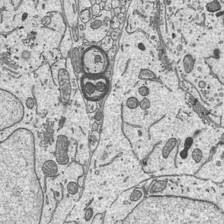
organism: Mouse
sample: Suprachiasmatic nucleus